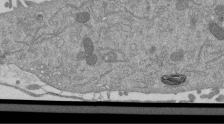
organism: Mouse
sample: ED-1 cell nuclei; centrioles